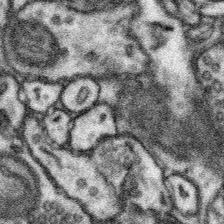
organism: Mouse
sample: Somatosensory cortex neuropil